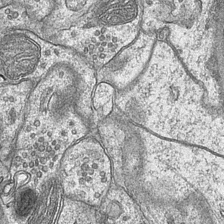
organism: Mouse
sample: CA1 Hippocampus